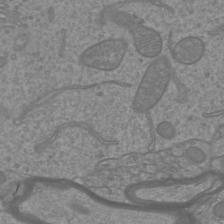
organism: Mouse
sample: Cortical neurons